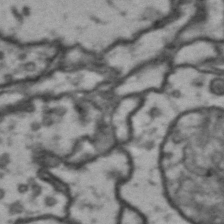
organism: Drosophila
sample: Brain